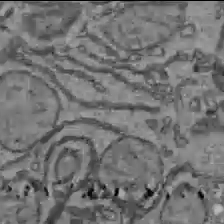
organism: C57BL Mouse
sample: Liver